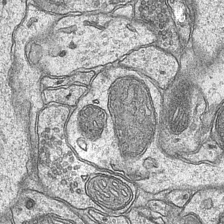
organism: Mouse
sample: CA1 Hippocampus